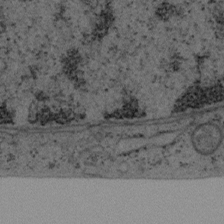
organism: Human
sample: HeLa cells